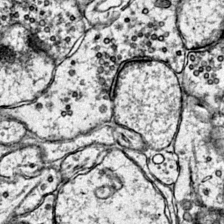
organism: Mouse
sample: Primary visual cortex